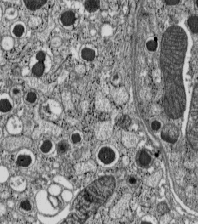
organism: C57BL Mouse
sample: Pancreatic islet